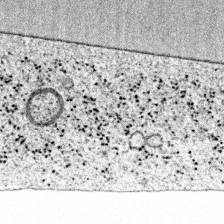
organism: Human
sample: HeLa cells